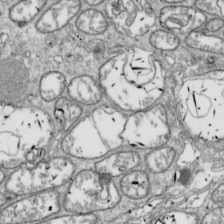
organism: Drosophila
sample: Cell division; meiosis; drosophila spermatocytes